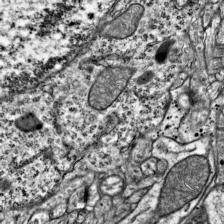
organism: Mouse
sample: Visual Cortex